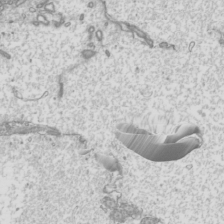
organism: Mouse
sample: Cilia; mouse epididymis